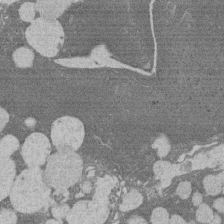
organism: Rat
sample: Salivary granule